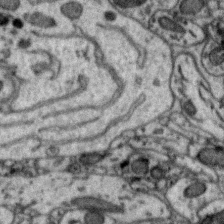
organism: Zebra finch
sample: Brain